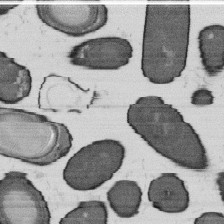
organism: B. subtilis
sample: Bacterial spore